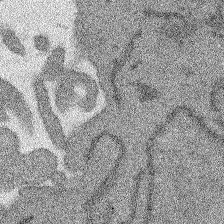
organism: Human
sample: HeLa cells